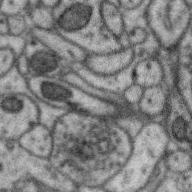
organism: Zebra finch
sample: Brain